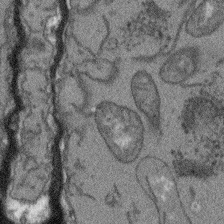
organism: Arabidopsis thaliana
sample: Root tip